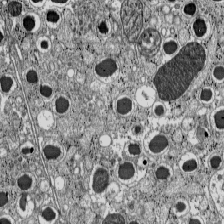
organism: C57BL Mouse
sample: Pancreatic islet